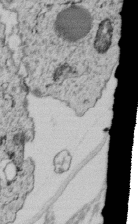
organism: C. elegans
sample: C. elegans embryo early stage